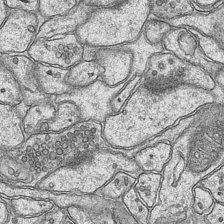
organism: Mouse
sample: CA1 Hippocampus